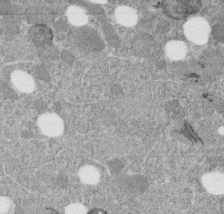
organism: C. elegans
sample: C. elegans embryo early stage